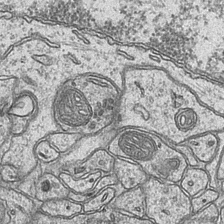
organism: Mouse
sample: CA1 Hippocampus